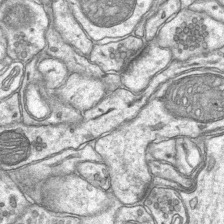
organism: Mouse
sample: CA1 Hippocampus